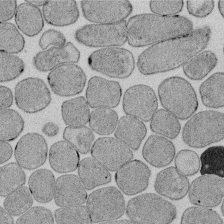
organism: E. coli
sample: Bacterial nucleoid